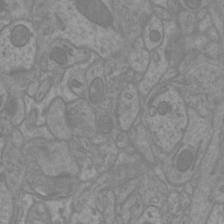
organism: Mouse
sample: Cortical neurons